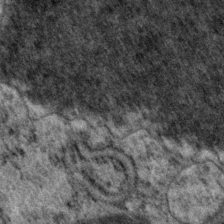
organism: P. pacificus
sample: Pharynx